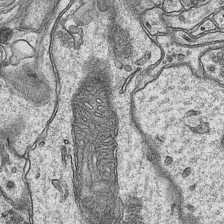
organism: Mouse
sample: CA1 Hippocampus